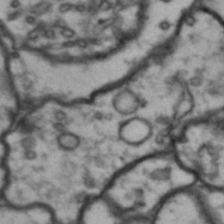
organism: Drosophila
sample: Brain